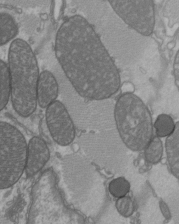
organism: C57BL Mouse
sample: Heart